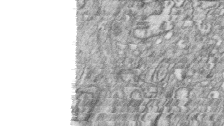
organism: Zebrafish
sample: synaptic ribbons in rod cells and cone cells